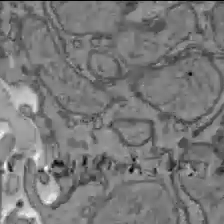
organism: C57BL Mouse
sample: Liver